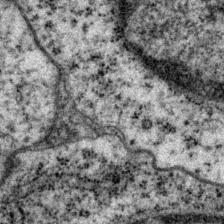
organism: P. pacificus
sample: Pharynx